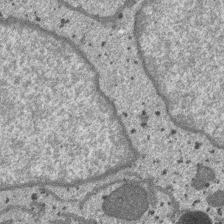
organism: Human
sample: Lung epithelial cells infected with SARS-CoV-2